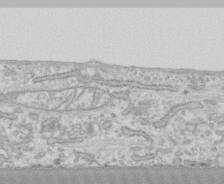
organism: Human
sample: CRL-1474